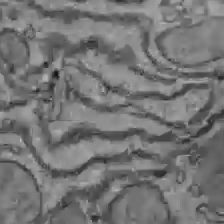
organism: C57BL Mouse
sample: Liver